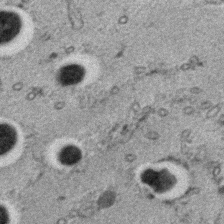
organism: C. elegans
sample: C. elegans embryo